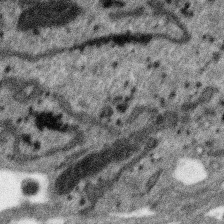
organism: Human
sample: Lung epithelial cells infected with SARS-CoV-2